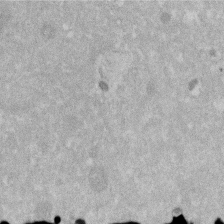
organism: Human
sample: HIV infected U937 cells